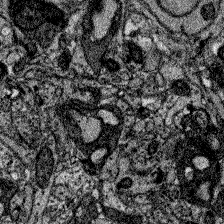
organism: Zebrafish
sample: Larval olfactory bulb